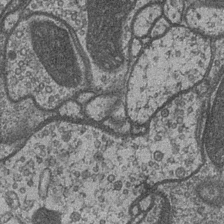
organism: Drosophila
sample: Optic medulla